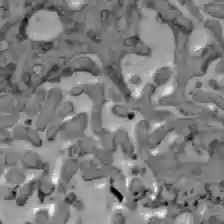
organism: C57BL Mouse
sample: Liver